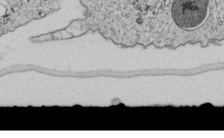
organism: C. elegans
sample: C. elegans embryo early stage